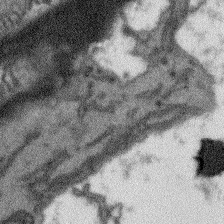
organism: Arabidopsis thaliana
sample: Root tip